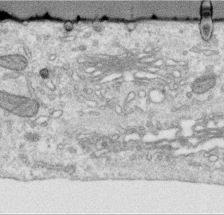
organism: Human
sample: Centriole in RPE cells